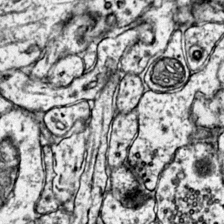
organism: Mouse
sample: Primary visual cortex